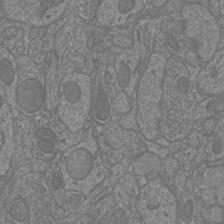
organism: Mouse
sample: Cortical neurons